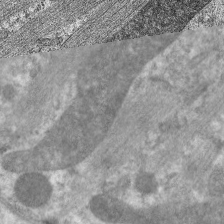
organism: C. elegans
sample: Pharynx